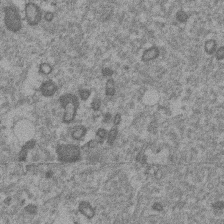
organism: Mouse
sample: Dividing mouse embryo 1 cell stage